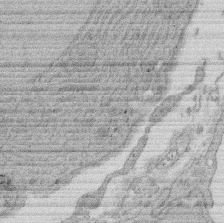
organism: Rat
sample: Salivary granule